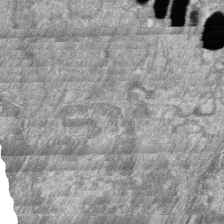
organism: Zebrafish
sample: Cilia; retinal pigment epithelium